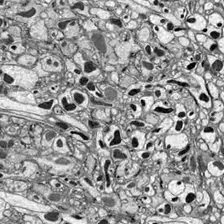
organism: Drosophila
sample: Optic lobe